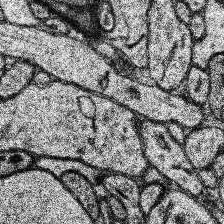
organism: Human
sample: Temporal Lobe